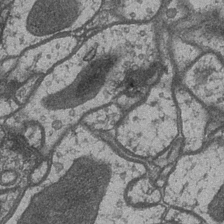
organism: Drosophila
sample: Optic medulla